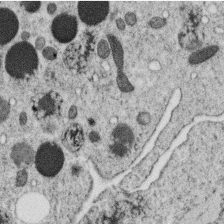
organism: C. elegans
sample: C. elegans oocyte; sperm cells